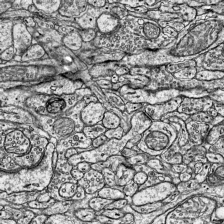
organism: Mouse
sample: Visual Cortex